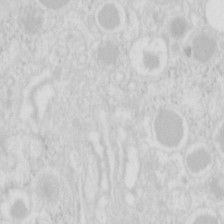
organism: Mouse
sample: Pancreas